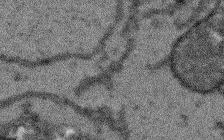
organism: Arabidopsis thaliana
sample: Root tip